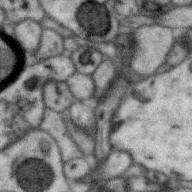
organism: Zebra finch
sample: Brain